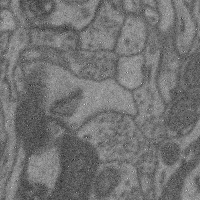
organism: Mouse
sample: Cerebral cortex